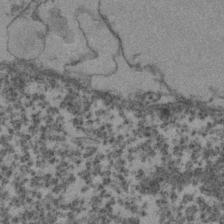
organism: Zebrafish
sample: Zebrafish embryo